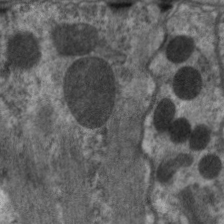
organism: C. elegans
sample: Pharynx